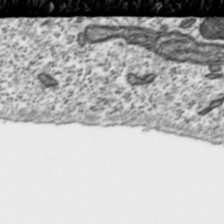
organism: Toxoplasma gondii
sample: Parasites in a vacuole inside a host cell